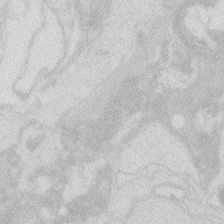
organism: Zebrafish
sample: Macrophage